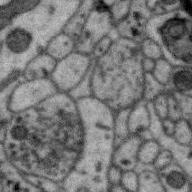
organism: Zebra finch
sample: Brain